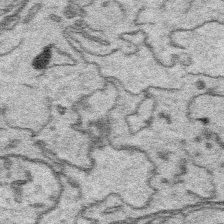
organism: Platynereis dumerilii